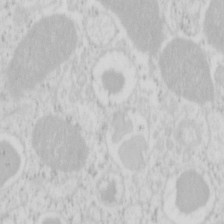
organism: Mouse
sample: Pancreas